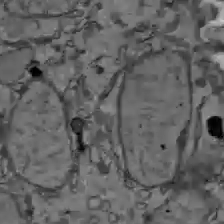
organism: C57BL Mouse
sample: Liver